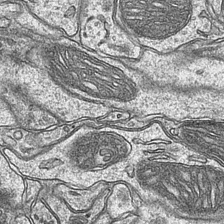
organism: Mouse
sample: CA1 Hippocampus